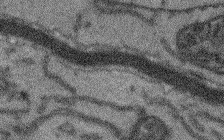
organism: Arabidopsis thaliana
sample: Root tip